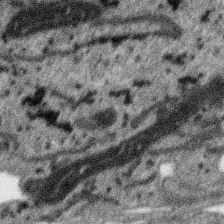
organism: Human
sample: Lung epithelial cells infected with SARS-CoV-2